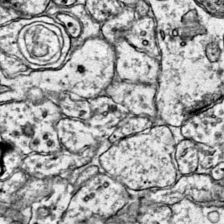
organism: Mouse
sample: Primary visual cortex